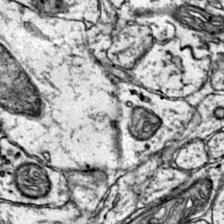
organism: Mouse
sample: Primary visual cortex